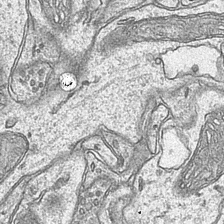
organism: Mouse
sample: CA1 Hippocampus